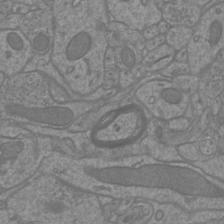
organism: Mouse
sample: Cortical neurons